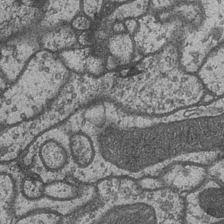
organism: Drosophila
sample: Optic medulla